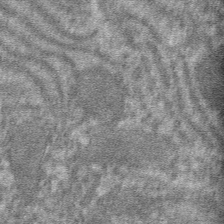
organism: Mouse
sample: Mouse hepatocytes